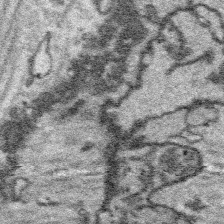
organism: Platynereis dumerilii